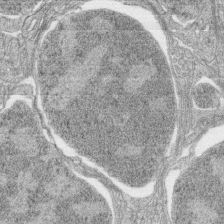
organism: Zebrafish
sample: synaptic ribbons in rod cells and cone cells